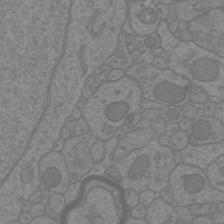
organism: Mouse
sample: Cortical neurons